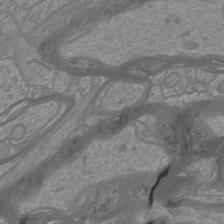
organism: Mouse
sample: Cortical neurons